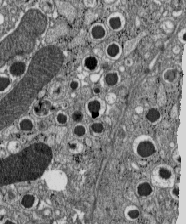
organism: C57BL Mouse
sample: Pancreatic islet